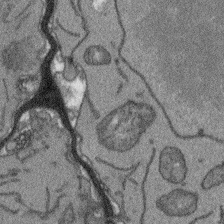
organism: Arabidopsis thaliana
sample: Root tip